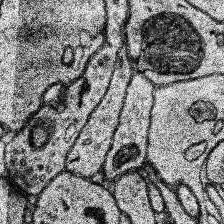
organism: Human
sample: Temporal Lobe